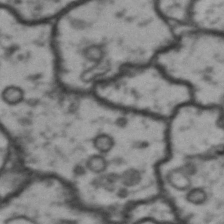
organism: Drosophila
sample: Brain